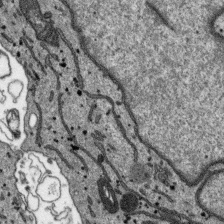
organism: Human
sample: Lung epithelial cells, uninfected (mock) control